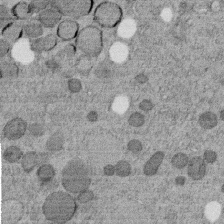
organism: C. elegans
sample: C. elegans embryo early stage